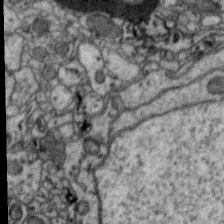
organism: Zebra finch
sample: Brain